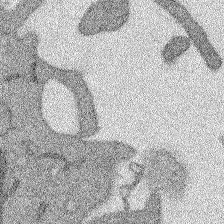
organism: Human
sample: HeLa cells